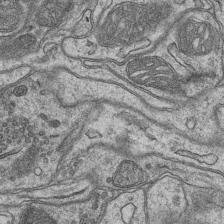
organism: Mouse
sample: CA1 Hippocampus